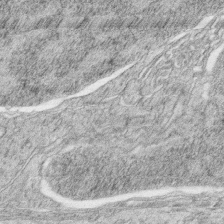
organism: Zebrafish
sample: synaptic ribbons in rod cells and cone cells